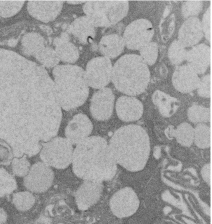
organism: Rat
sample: Salivary granule